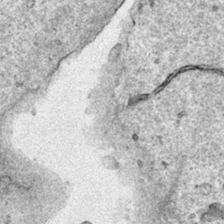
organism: Human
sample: Mitochondria in HCT116 cells